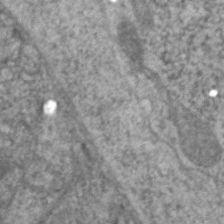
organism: C. elegans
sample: Pharynx